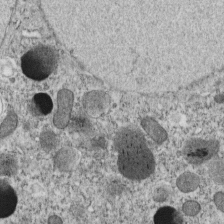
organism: C. elegans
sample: C. elegans embryo early stage